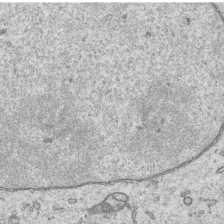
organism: Human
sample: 1205lu cells